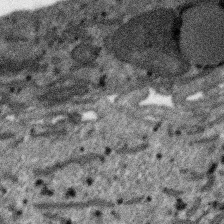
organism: Human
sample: Lung epithelial cells infected with SARS-CoV-2